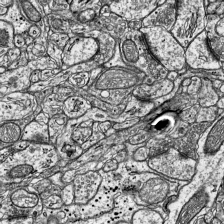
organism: Mouse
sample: Visual Cortex